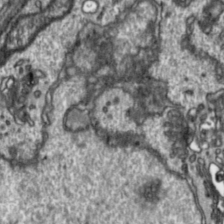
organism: Toxoplasma gondii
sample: Parasites in a vacuole inside a host cell